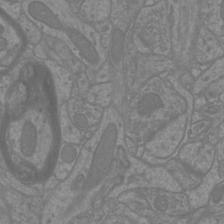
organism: Mouse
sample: Cortical neurons